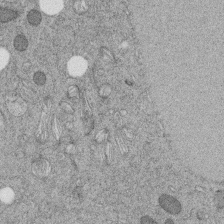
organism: C. elegans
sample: C. elegans embryo early stage